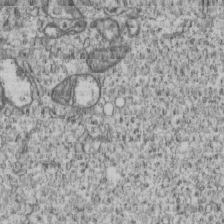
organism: Human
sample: MDA-MB-231 cells